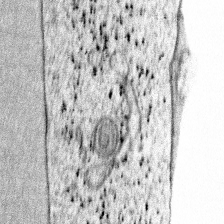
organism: Human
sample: HeLa cells